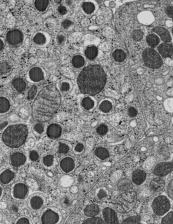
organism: C57BL Mouse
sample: Pancreatic islet